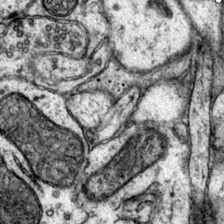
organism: Mouse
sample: Primary visual cortex